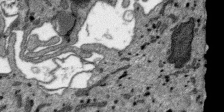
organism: Human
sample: Lung epithelial cells, uninfected (mock) control